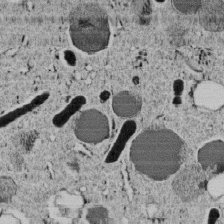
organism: C. elegans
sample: C. elegans embryo early stage